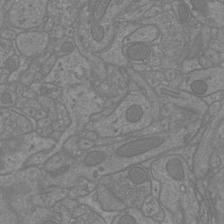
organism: Mouse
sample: Cortical neurons